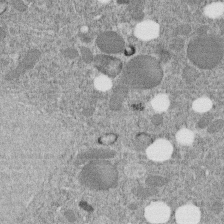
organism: C. elegans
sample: C. elegans embryo early stage